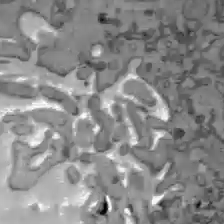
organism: C57BL Mouse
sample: Liver